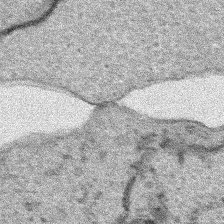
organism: Human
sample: Mitochondria in HCT116 cells